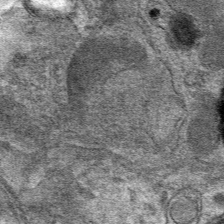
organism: Mouse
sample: Mouse hepatocytes